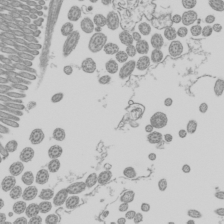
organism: Mouse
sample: Cilia; mouse epididymis